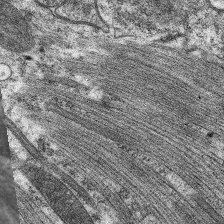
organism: C. elegans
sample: Pharynx